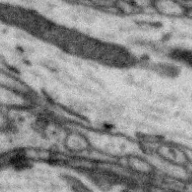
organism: Zebra finch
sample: Brain